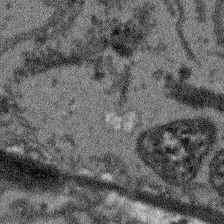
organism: Arabidopsis thaliana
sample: Root tip